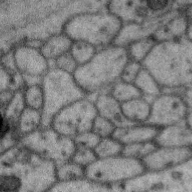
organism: Zebra finch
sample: Brain